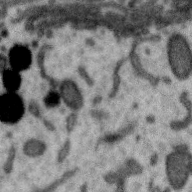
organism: Zebra finch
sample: Brain